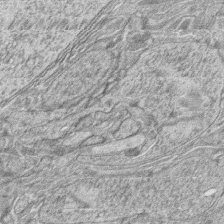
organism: Zebrafish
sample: synaptic ribbons in rod cells and cone cells